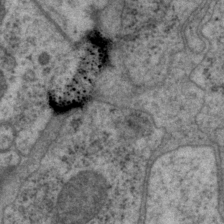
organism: P. pacificus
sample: Pharynx